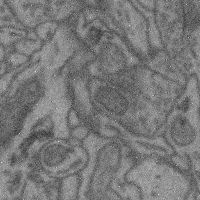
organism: Mouse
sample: Cerebral cortex